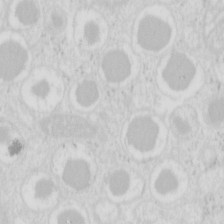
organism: Mouse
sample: Pancreas